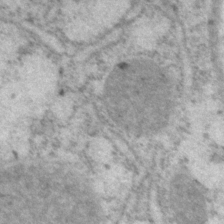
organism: P. pacificus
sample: Pharynx